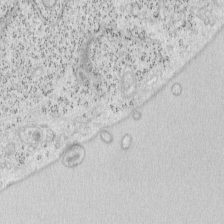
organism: Mouse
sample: OT-I killer T cells with ID8 ovarian cancer cells